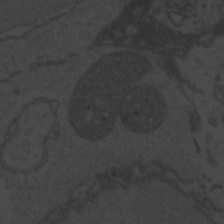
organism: Zebrafish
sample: Macrophage infected with Toxoplasma gondii